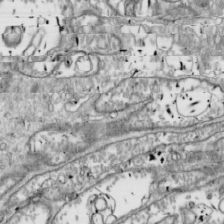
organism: Drosophila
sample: Cell division; meiosis; drosophila spermatocytes